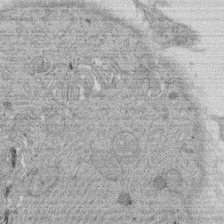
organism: Rat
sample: Salivary granule